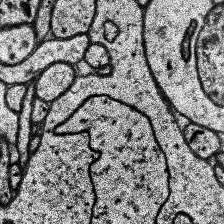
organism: Human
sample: Temporal Lobe